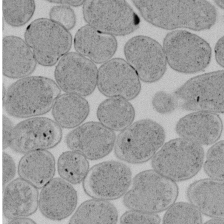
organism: E. coli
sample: Bacterial nucleoid